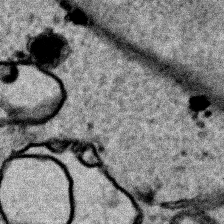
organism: Human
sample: Mitochondria in HCT116 cells